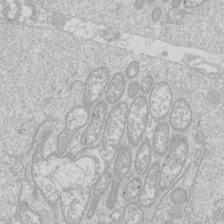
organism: Drosophila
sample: Cell division; meiosis; drosophila spermatocytes